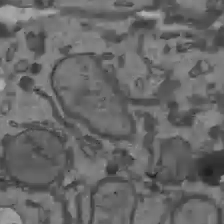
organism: C57BL Mouse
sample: Liver